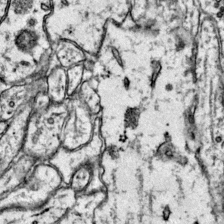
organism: Mouse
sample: Primary visual cortex